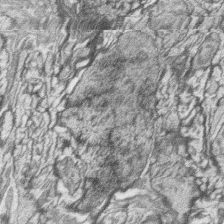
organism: Zebrafish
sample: synaptic ribbons in rod cells and cone cells